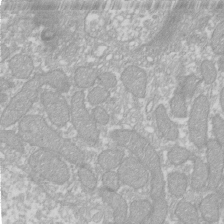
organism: Xenopus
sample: Cilia; centrioles in frog embryo cells